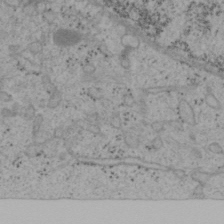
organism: Human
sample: HeLa cells